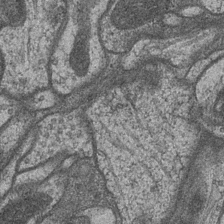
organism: Drosophila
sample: Optic medulla